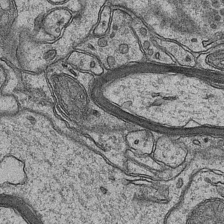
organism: Mouse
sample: CA1 Hippocampus